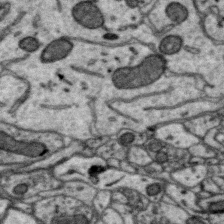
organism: Zebra finch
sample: Brain